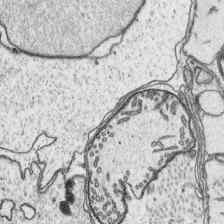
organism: Platynereis dumerilii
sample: Parapodia